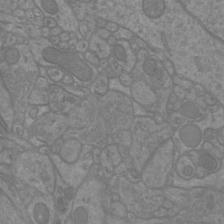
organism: Mouse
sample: Cortical neurons